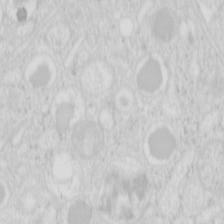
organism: Mouse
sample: Pancreas